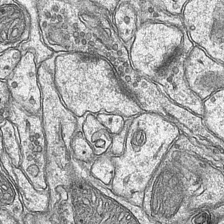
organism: Mouse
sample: CA1 Hippocampus